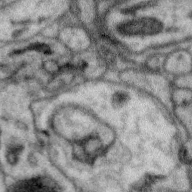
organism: Zebra finch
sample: Brain